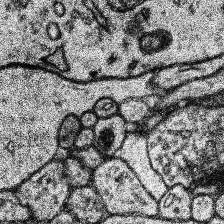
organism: Human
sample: Temporal Lobe